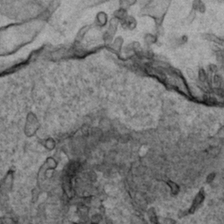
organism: Human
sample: Mitochondria in HCT116 cells